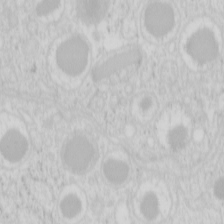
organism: Mouse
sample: Pancreas